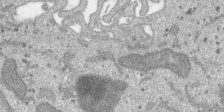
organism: Human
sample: Lung epithelial cells infected with SARS-CoV-2